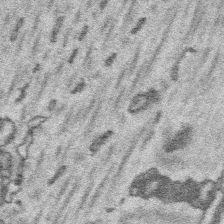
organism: Platynereis dumerilii